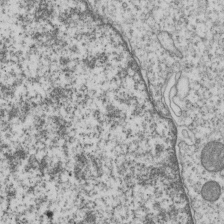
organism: Human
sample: MDA-MB-231 cells